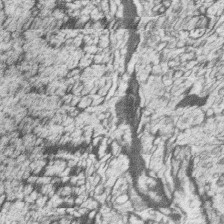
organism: Zebrafish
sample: synaptic ribbons in rod cells and cone cells